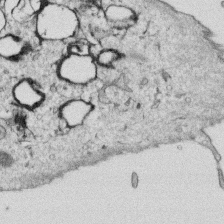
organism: Human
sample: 1205lu cells